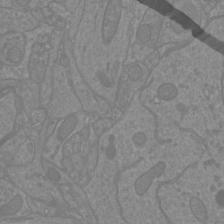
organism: Mouse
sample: Cortical neurons